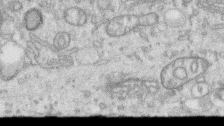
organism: Human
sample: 1205lu cells